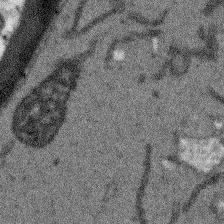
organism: Arabidopsis thaliana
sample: Root tip